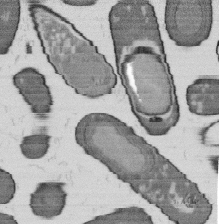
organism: B. subtilis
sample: Bacterial spore